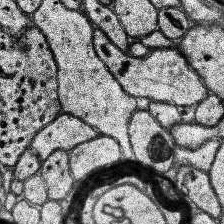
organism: Human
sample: Temporal Lobe